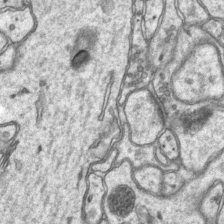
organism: Mouse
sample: CA1 Hippocampus